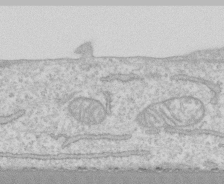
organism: Human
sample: CRL-1474